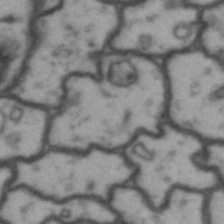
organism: Drosophila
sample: Brain